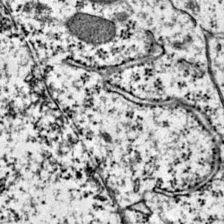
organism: Mouse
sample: Primary visual cortex